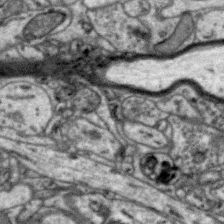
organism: Zebra finch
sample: Brain